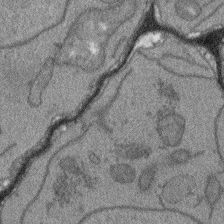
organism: Arabidopsis thaliana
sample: Root tip